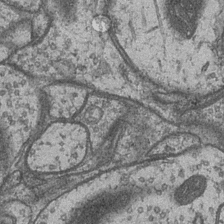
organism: Drosophila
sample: Optic medulla